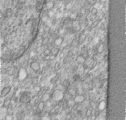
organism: Human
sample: Centriole in RPE cells